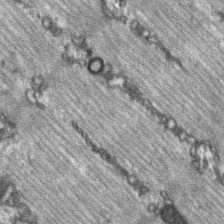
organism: C57BL Mouse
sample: Soleus